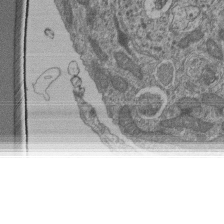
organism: Human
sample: Retinal organoid Rod and Cone cells